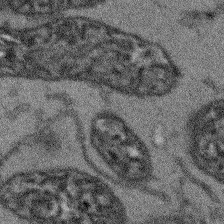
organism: Arabidopsis thaliana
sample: Root tip